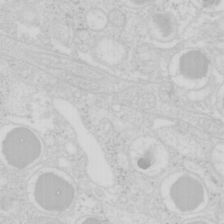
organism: Mouse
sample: Pancreas